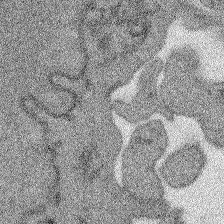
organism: Human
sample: HeLa cells